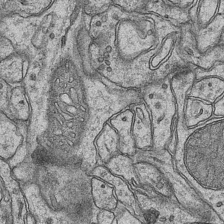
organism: Mouse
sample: CA1 Hippocampus